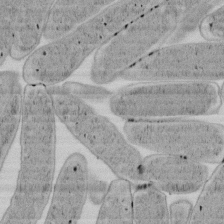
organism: E. coli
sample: Bacterial nucleoid